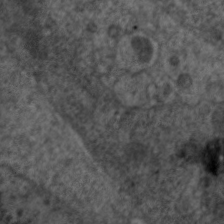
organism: C. elegans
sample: Pharynx